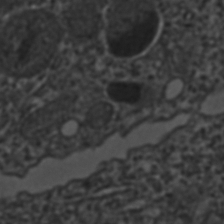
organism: C. elegans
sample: C. elegans embryo